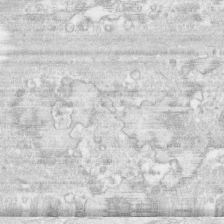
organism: Human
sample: CRL-1474